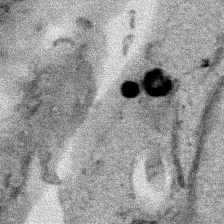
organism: Human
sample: Mitochondria in HCT116 cells